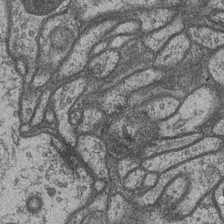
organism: Drosophila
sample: Optic medulla